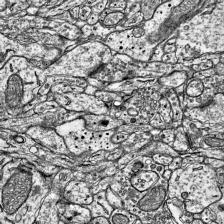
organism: Mouse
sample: Visual Cortex